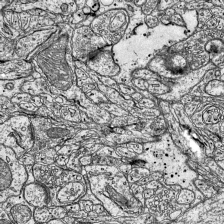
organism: Mouse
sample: Visual Cortex